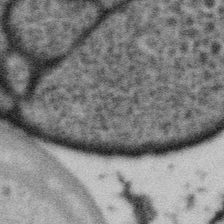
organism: Gemmata obscuriglobus